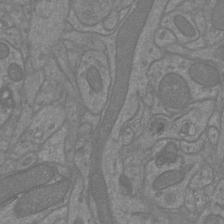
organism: Mouse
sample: Cortical neurons